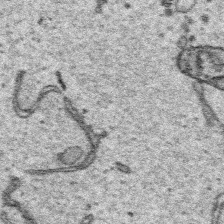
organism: Platynereis dumerilii